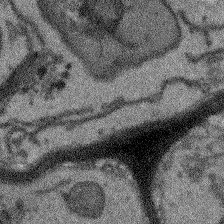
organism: Arabidopsis thaliana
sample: Root tip